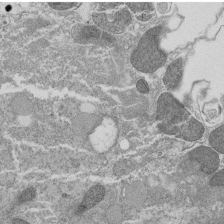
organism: Tetrahymena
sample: Cilia in tetrahymena